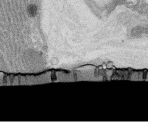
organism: Rat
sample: Salivary granule